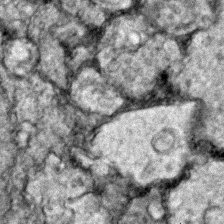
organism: Zebrafish